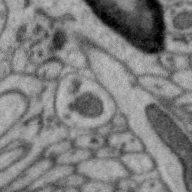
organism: Zebra finch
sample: Brain